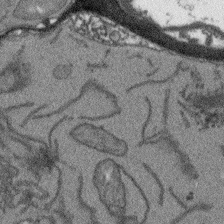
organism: Arabidopsis thaliana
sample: Root tip